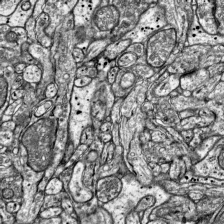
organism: Mouse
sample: Visual Cortex